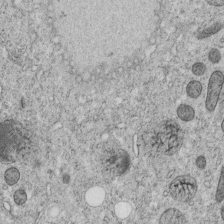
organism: C. elegans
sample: C. elegans embryo early stage